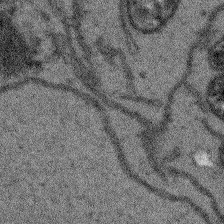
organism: Arabidopsis thaliana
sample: Root tip